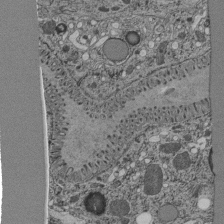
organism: C. elegans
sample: C. elegans pharynx